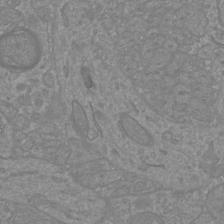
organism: Mouse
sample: Cortical neurons